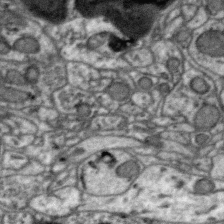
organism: Zebra finch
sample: Brain